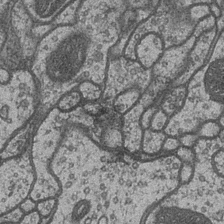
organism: Drosophila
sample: Optic medulla